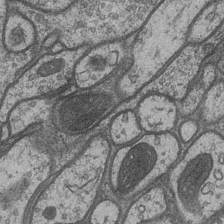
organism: Drosophila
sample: Optic medulla